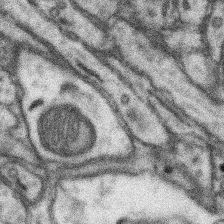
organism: Mouse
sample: Somatosensory cortex neuropil